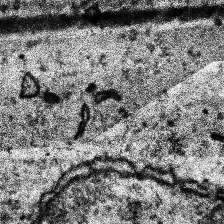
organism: Human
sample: Temporal Lobe